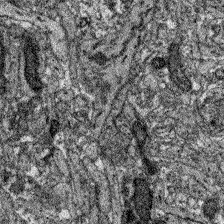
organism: Zebrafish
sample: Larval olfactory bulb